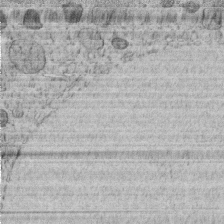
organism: C. elegans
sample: C. elegans embryo early stage